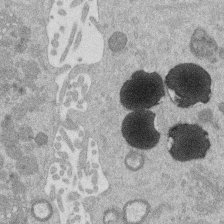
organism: Mouse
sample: Dividing mouse embryo 1 cell stage